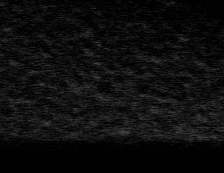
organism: Human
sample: HeLa cells